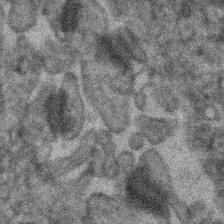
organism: Human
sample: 1205lu cells